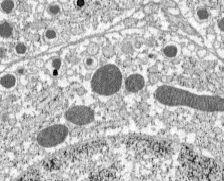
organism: C57BL Mouse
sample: Pancreatic islet